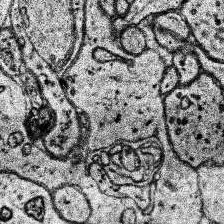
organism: Human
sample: Temporal Lobe